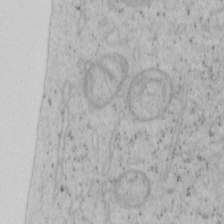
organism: Human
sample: HeLa cells